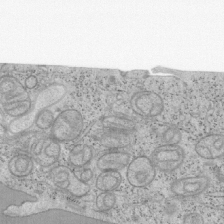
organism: Human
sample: HeLa cells